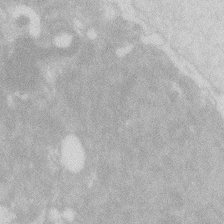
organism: Zebrafish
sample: Macrophage